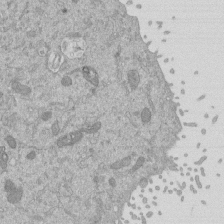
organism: Mouse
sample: ED-1 cell nuclei; centrioles